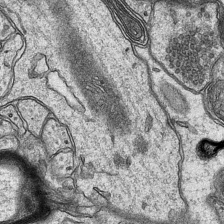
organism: Mouse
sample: CA1 Hippocampus